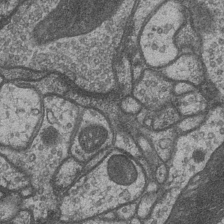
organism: Drosophila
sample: Optic medulla